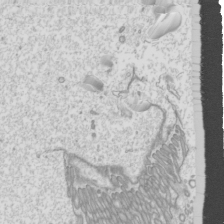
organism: Mouse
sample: Cilia; mouse epididymis